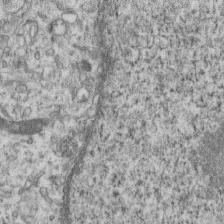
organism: Mouse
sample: Centriole in ependymal cells